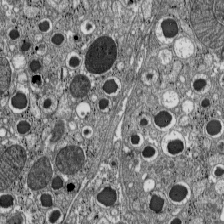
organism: C57BL Mouse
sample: Pancreatic islet